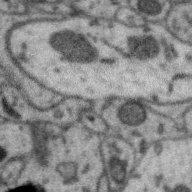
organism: Zebra finch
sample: Brain